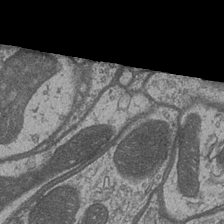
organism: Drosophila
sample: Optic medulla